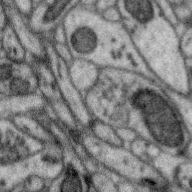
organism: Zebra finch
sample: Brain